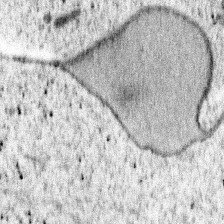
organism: Human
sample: HeLa cells